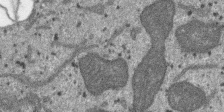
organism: Human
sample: Lung epithelial cells infected with SARS-CoV-2